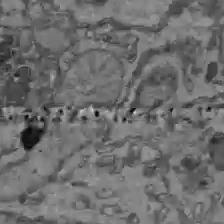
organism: C57BL Mouse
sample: Liver